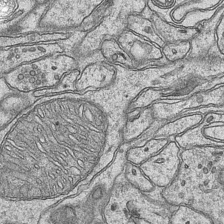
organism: Mouse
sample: CA1 Hippocampus